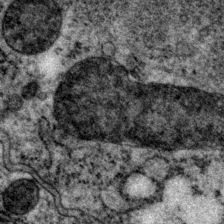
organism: P. pacificus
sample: Pharynx